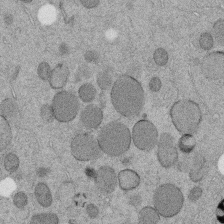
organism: C. elegans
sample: C. elegans embryo early stage